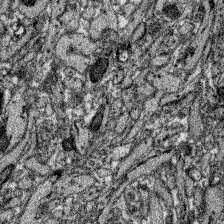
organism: Zebrafish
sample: Larval olfactory bulb